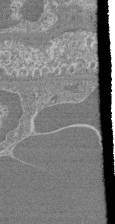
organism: Mouse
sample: Glomerulus